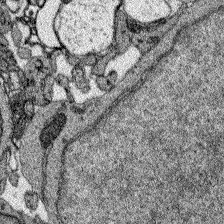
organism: Zebrafish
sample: Larval olfactory bulb